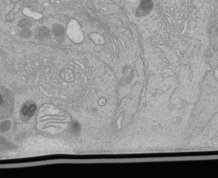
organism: Human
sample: Retinal organoid Rod and Cone cells